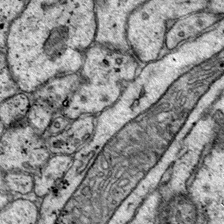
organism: Mouse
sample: Primary visual cortex